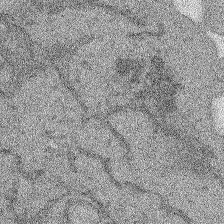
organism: Human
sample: HeLa cells